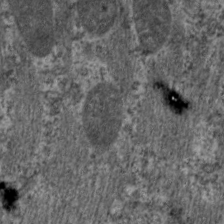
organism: C. elegans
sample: Pharynx